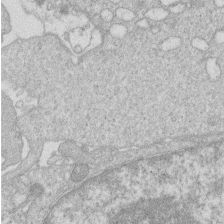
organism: Human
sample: Macrophage cells